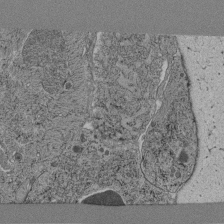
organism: C. elegans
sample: C. elegans pharynx